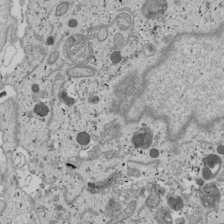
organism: Human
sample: Mitochondria in U2OS cells